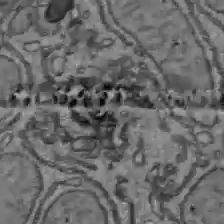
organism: C57BL Mouse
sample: Liver